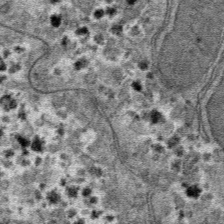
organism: Mouse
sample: Mouse hepatocytes